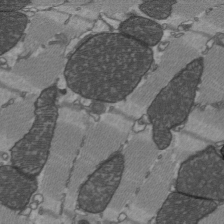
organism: C57BL Mouse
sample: Heart